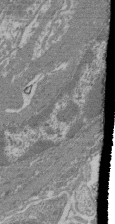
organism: Mouse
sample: Glomerulus